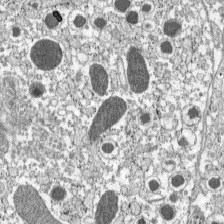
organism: C57BL Mouse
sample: Pancreatic islet